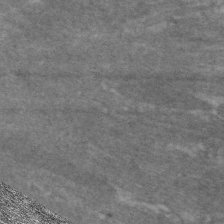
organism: C. elegans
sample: Pharynx